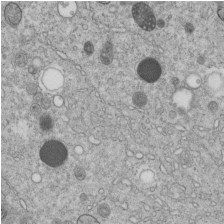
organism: C. elegans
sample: C. elegans embryo early stage